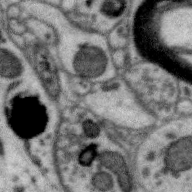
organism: Zebra finch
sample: Brain